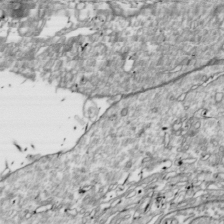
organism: Drosophila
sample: Cell division; meiosis; drosophila spermatocytes